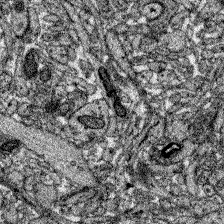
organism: Zebrafish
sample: Larval olfactory bulb